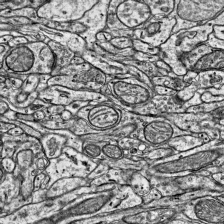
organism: Mouse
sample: Visual Cortex